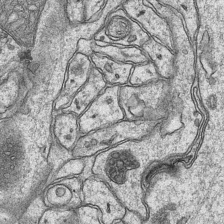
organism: Mouse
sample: CA1 Hippocampus